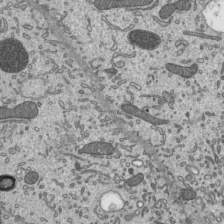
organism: Mouse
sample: Mouse epididymis efferent ductule cilia